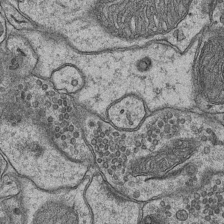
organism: Mouse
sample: CA1 Hippocampus